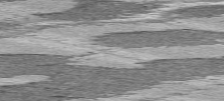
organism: C57BL Mouse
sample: Heart